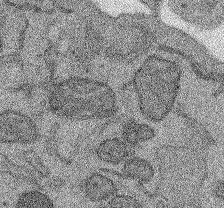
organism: Human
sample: HeLa cells